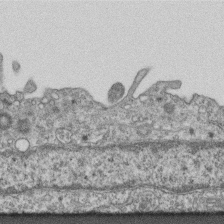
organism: Mouse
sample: Centriole in ependymal cells